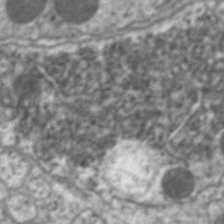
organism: C. elegans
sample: Pharynx